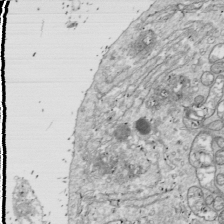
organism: Drosophila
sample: Cell division; meiosis; drosophila spermatocytes